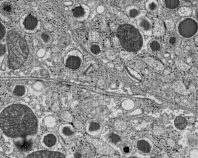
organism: C57BL Mouse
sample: Pancreatic islet